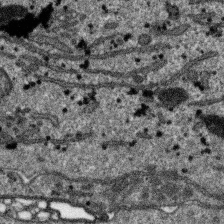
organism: Human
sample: Lung epithelial cells infected with SARS-CoV-2